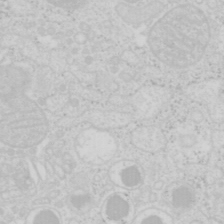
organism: Mouse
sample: Pancreas